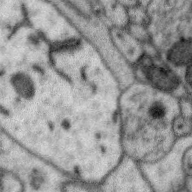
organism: Zebra finch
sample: Brain